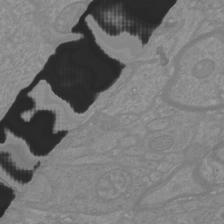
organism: Mouse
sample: Cortical neurons